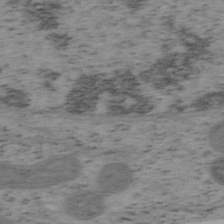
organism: Mouse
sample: OT-I killer T cells with ID8 ovarian cancer cells